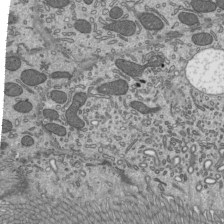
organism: Mouse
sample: Mouse epididymis efferent ductule cilia